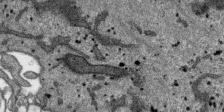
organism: Human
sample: Lung epithelial cells, uninfected (mock) control